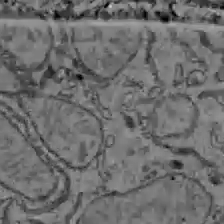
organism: C57BL Mouse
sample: Liver